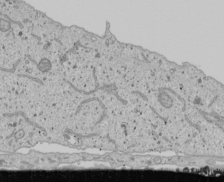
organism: Human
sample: Mitochondria in U2OS cells